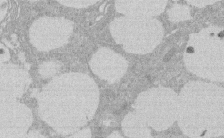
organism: Rat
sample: Salivary granule